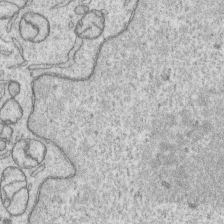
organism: Human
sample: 1205lu cells